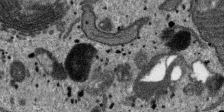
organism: Human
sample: Lung epithelial cells, uninfected (mock) control